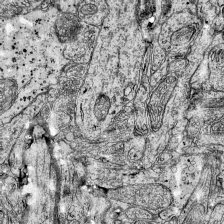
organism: Mouse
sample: Visual Cortex